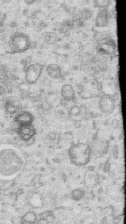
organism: Human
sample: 1205lu cells